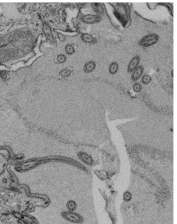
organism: Tetrahymena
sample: Cilia in tetrahymena